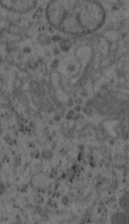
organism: Human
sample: HeLa cells